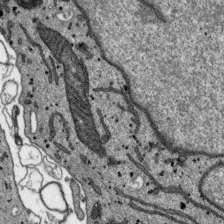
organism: Human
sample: Lung epithelial cells, uninfected (mock) control